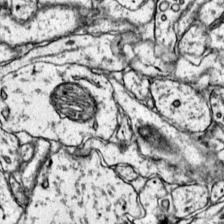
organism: Mouse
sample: Primary visual cortex